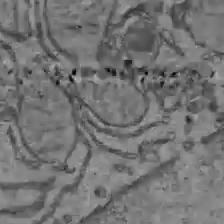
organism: C57BL Mouse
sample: Liver